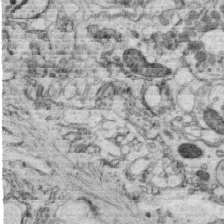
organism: C. elegans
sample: C. elegans oocyte; sperm cells